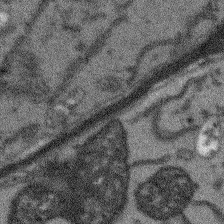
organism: Arabidopsis thaliana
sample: Root tip